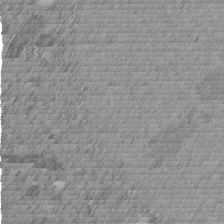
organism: C. elegans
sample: C. elegans embryo early stage